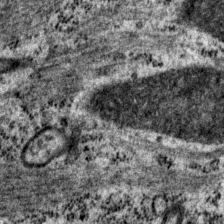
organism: P. pacificus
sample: Pharynx